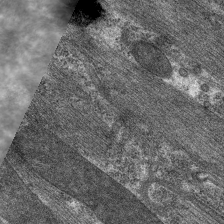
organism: C. elegans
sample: Pharynx